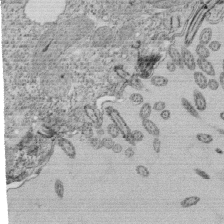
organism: Tetrahymena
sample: Cilia in tetrahymena